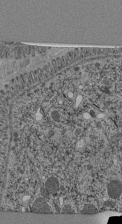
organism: C. elegans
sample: C. elegans pharynx